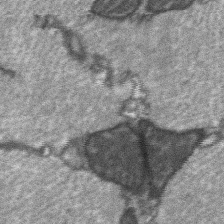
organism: C57BL Mouse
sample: Soleus